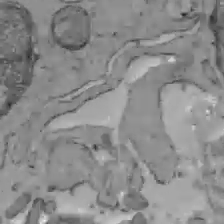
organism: C57BL Mouse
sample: Liver